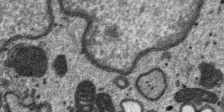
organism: Human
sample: Lung epithelial cells infected with SARS-CoV-2